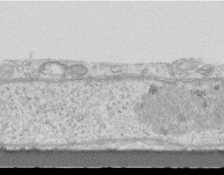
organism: Mouse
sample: Centriole in ependymal cells